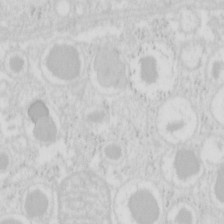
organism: Mouse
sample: Pancreas